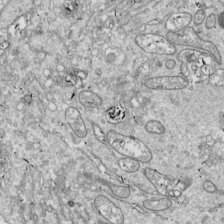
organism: Drosophila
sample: Cell division; meiosis; drosophila spermatocytes